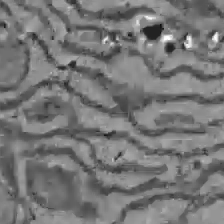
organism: C57BL Mouse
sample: Liver